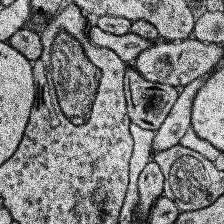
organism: Human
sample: Temporal Lobe